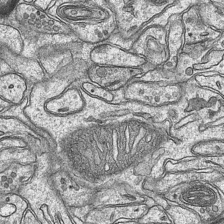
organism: Mouse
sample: CA1 Hippocampus